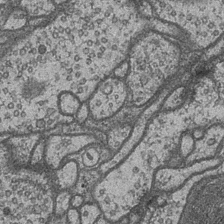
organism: Drosophila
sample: Optic medulla